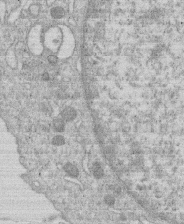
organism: Human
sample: Macrophage cells